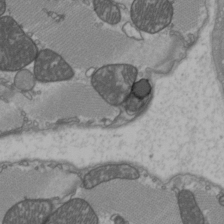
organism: C57BL Mouse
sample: Heart